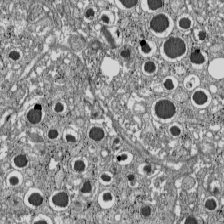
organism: C57BL Mouse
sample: Pancreatic islet